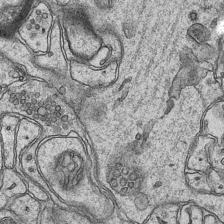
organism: Mouse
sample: CA1 Hippocampus